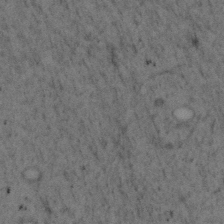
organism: Human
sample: HeLa cells